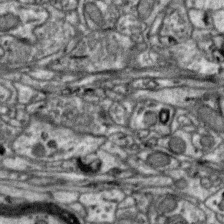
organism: Zebra finch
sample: Brain